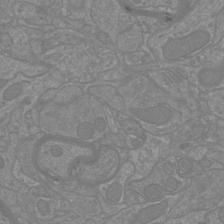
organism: Mouse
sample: Cortical neurons